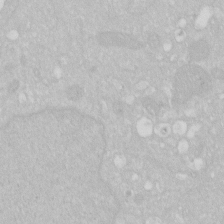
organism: Human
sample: HIV infected U937 cells